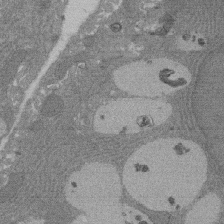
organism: Rat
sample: Salivary granule